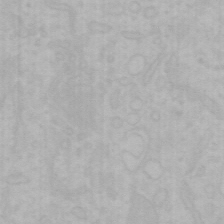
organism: Mouse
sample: Choroid plexus